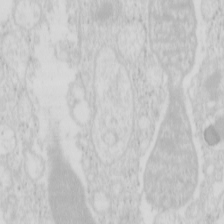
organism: Mouse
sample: Pancreas